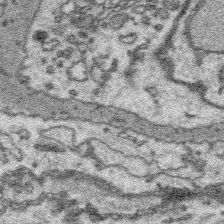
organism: Platynereis dumerilii